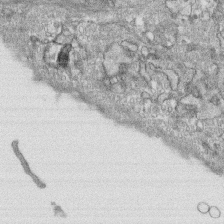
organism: Human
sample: CRL-1474